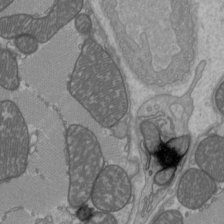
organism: C57BL Mouse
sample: Heart